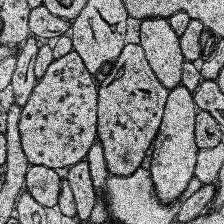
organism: Human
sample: Temporal Lobe